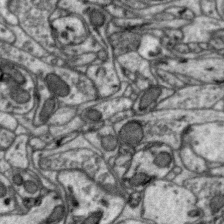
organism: Zebra finch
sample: Brain